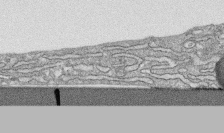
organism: Human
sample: CRL-1474